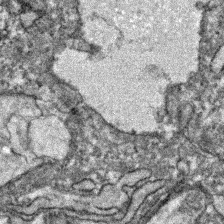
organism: Zebrafish